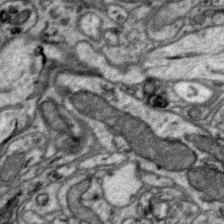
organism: Zebra finch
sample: Brain